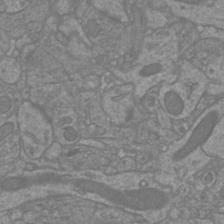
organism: Mouse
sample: Cortical neurons